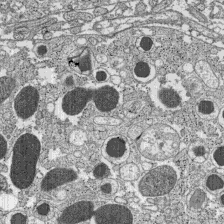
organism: C57BL Mouse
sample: Pancreatic islet